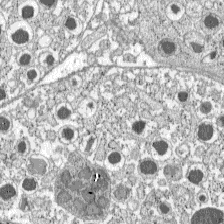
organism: C57BL Mouse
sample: Pancreatic islet